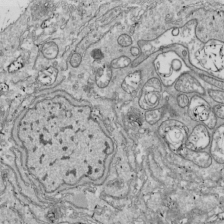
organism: Drosophila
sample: Cell division; meiosis; drosophila spermatocytes